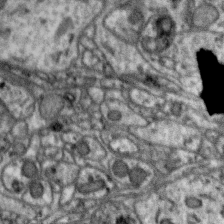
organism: Zebra finch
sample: Brain